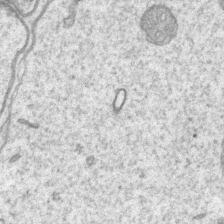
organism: Mouse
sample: CA1 Hippocampus